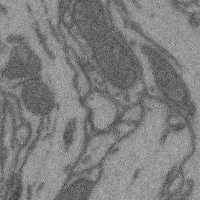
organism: Mouse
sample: Cerebral cortex